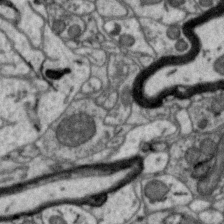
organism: Zebra finch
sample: Brain